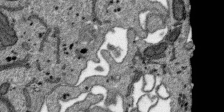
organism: Human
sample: Lung epithelial cells, uninfected (mock) control